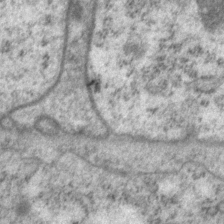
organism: P. pacificus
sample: Pharynx